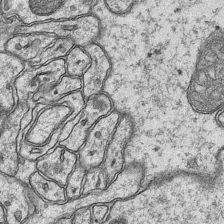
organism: Mouse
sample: CA1 Hippocampus